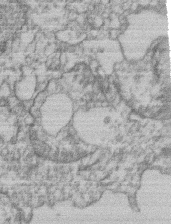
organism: Mouse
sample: T cell stromal cell synapse